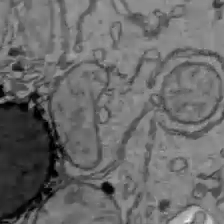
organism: C57BL Mouse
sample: Liver